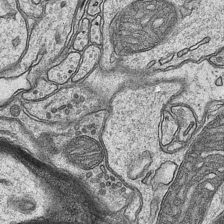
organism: Mouse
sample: CA1 Hippocampus